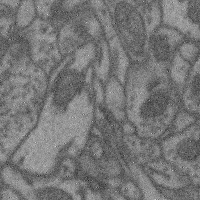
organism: Mouse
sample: Cerebral cortex